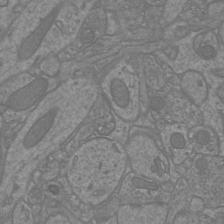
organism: Mouse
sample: Cortical neurons